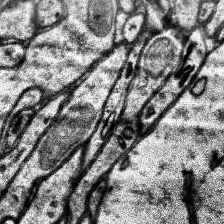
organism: Human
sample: Temporal Lobe